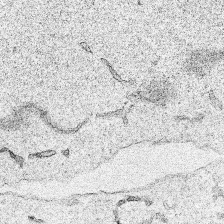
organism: Human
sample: Mitochondria in HCT116 cells